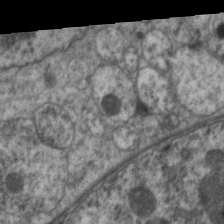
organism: C. elegans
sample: Pharynx